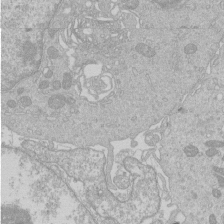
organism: Human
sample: Macrophage cells